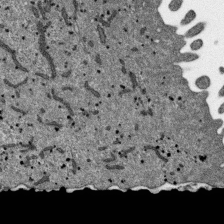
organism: Human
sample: Lung epithelial cells, uninfected (mock) control